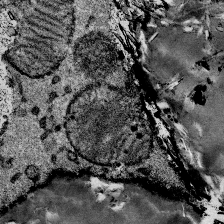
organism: Mouse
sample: Mouse Salivary gland